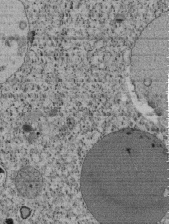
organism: Tetrahymena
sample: Cilia in tetrahymena